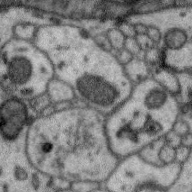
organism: Zebra finch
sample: Brain